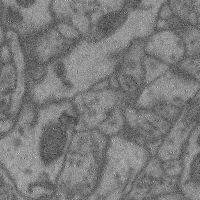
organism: Mouse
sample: Cerebral cortex